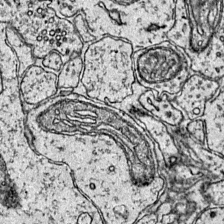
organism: Mouse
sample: Primary visual cortex